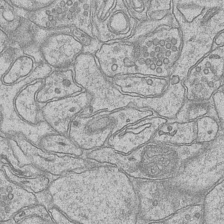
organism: Mouse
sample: CA1 Hippocampus